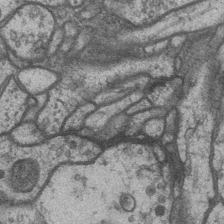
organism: Drosophila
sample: Optic medulla